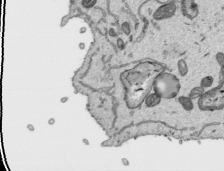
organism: Human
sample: Mitochondria in HCT116 cells